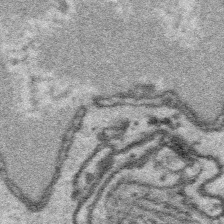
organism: Platynereis dumerilii